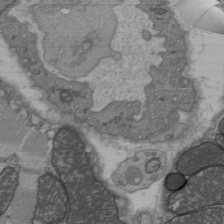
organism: C57BL Mouse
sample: Heart